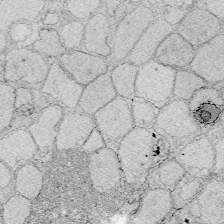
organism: Zebrafish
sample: Whole-Brain